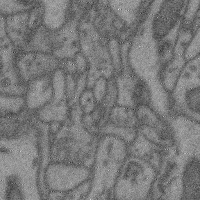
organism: Mouse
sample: Cerebral cortex